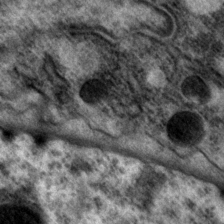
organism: P. pacificus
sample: Pharynx